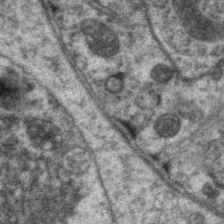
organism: C. elegans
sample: Pharynx